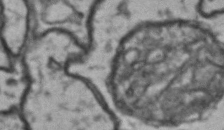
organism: Drosophila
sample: Brain